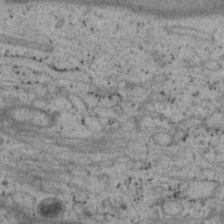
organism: Human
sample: HeLa cells